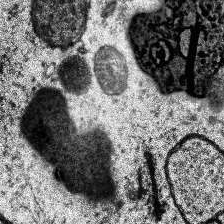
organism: Human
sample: Temporal Lobe